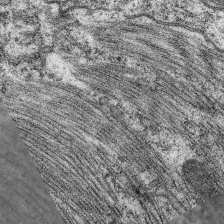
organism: C. elegans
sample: Pharynx